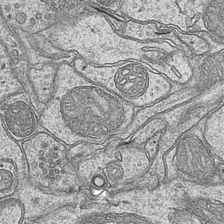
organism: Mouse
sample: CA1 Hippocampus